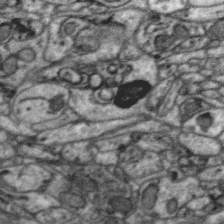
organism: Zebra finch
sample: Brain